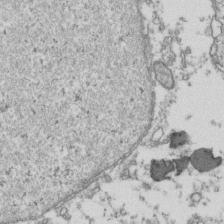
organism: Human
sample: Activated Jurkat CD4+ T cells